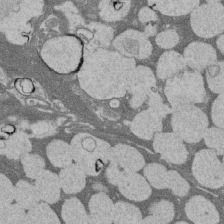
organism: Rat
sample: Salivary granule